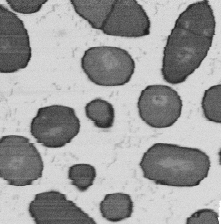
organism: B. subtilis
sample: Bacterial spore